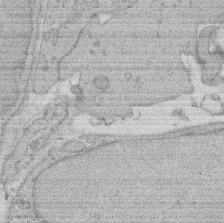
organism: Rat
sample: Salivary granule